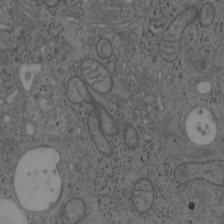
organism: Mouse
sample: OT-I killer T cells with ID8 ovarian cancer cells